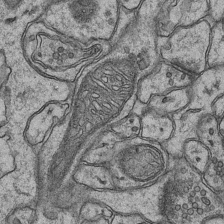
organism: Mouse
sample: CA1 Hippocampus